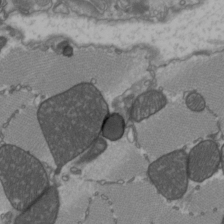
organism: C57BL Mouse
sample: Heart